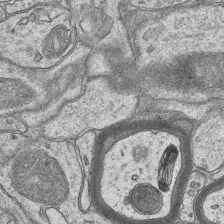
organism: Mouse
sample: CA1 Hippocampus